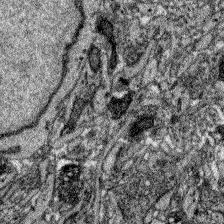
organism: Zebrafish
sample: Larval olfactory bulb